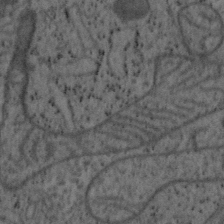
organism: Human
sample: HeLa cells